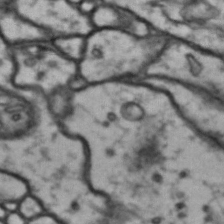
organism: Drosophila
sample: Brain